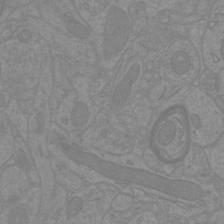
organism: Mouse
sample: Cortical neurons